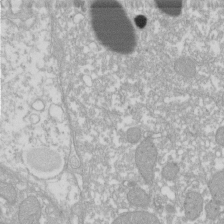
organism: Xenopus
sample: Cilia; centrioles in frog embryo cells